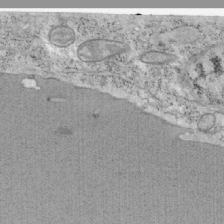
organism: Human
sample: HeLa cells